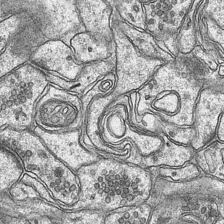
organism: Mouse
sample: CA1 Hippocampus